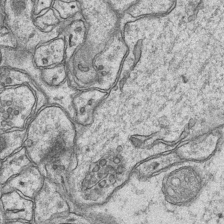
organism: Mouse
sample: CA1 Hippocampus